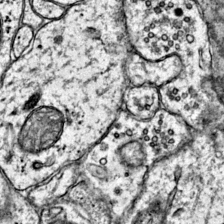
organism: Mouse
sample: Primary visual cortex